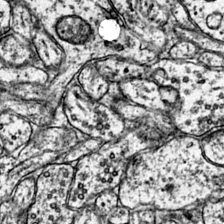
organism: Mouse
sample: Primary visual cortex